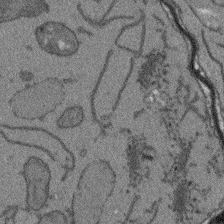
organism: Arabidopsis thaliana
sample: Root tip